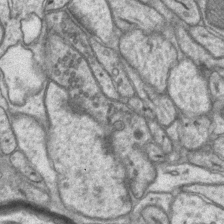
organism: Mouse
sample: CA1 Hippocampus